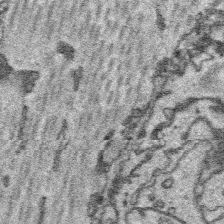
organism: Platynereis dumerilii